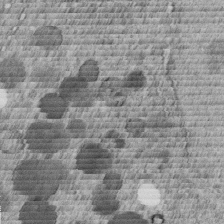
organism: C. elegans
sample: C. elegans embryo early stage